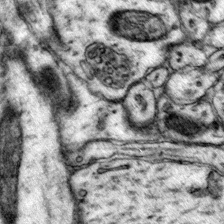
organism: Mouse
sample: Primary visual cortex